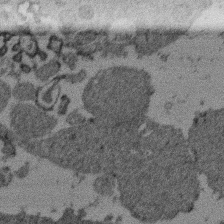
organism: Mouse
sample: Dividing mouse embryo 1 cell stage